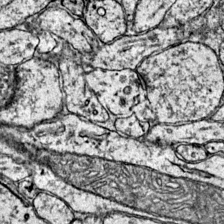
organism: Mouse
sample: Primary visual cortex